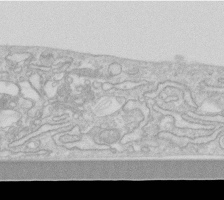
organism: Human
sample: Fibroblast cells